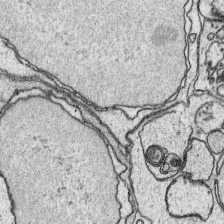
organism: Platynereis dumerilii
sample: Parapodia